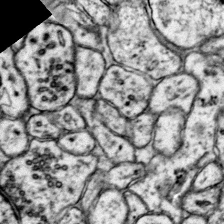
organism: Mouse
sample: Primary visual cortex